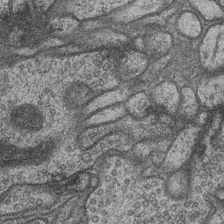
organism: Drosophila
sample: Optic medulla